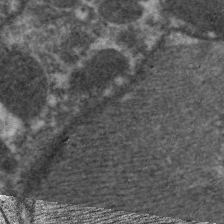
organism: C. elegans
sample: Pharynx